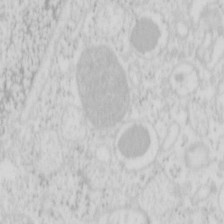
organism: Mouse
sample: Pancreas